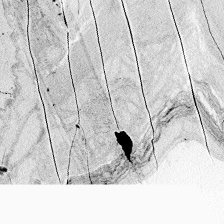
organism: Zebrafish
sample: Whole-Brain